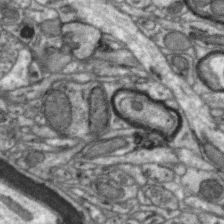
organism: Zebra finch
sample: Brain